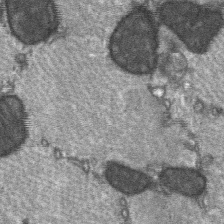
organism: C57BL Mouse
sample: Soleus